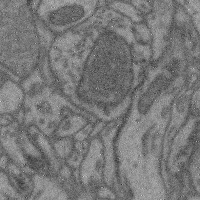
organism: Mouse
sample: Cerebral cortex